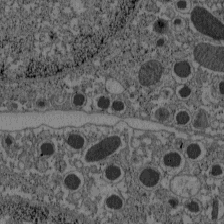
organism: C57BL Mouse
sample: Pancreatic islet